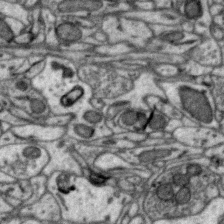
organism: Zebra finch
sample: Brain